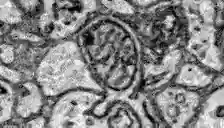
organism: Zebrafish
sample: Brain